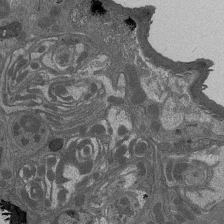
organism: Drosophila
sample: Antenna